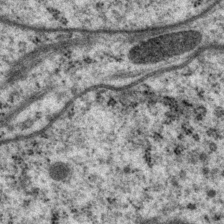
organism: P. pacificus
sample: Pharynx